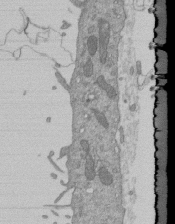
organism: Mouse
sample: ED-1 cell nuclei; centrioles